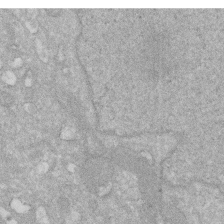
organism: Human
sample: HIV infected U937 cells